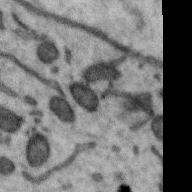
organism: Zebra finch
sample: Brain